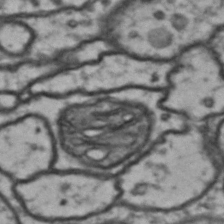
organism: Drosophila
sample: Brain